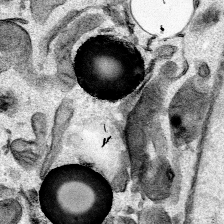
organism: Mouse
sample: Cancer cell death in ED-1 cells